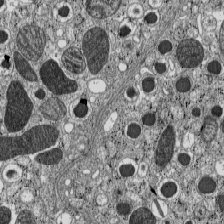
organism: C57BL Mouse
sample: Pancreatic islet